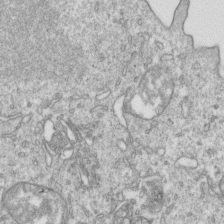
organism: Mouse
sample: Activated OT-1 CD8+ T cells